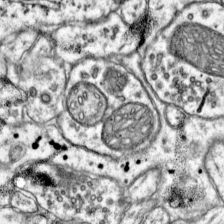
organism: Mouse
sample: Primary visual cortex